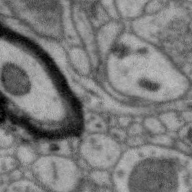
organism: Zebra finch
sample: Brain